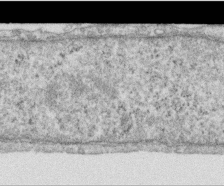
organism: Human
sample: Centriole in RPE cells